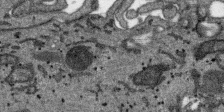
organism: Human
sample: Lung epithelial cells, uninfected (mock) control